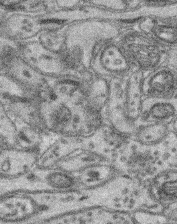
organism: Mouse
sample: Retina